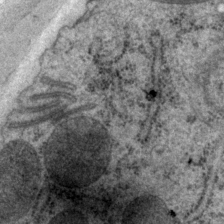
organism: P. pacificus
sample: Pharynx